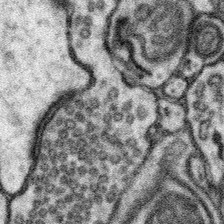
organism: Mouse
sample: Somatosensory cortex neuropil